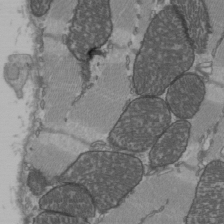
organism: C57BL Mouse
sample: Heart